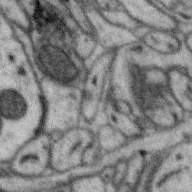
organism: Zebra finch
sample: Brain